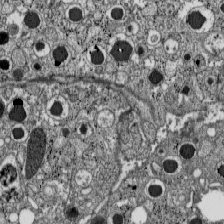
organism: C57BL Mouse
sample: Pancreatic islet